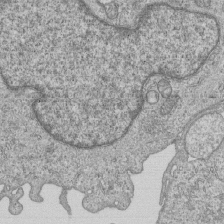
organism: Human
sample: MDA-MB-231 cells